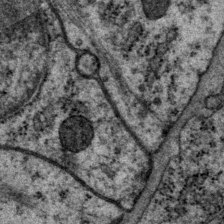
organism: P. pacificus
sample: Pharynx